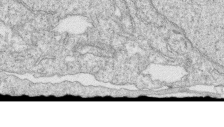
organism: Human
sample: HeLa cell HIV synapse